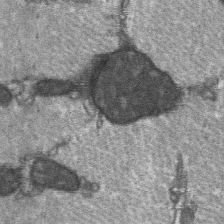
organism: C57BL Mouse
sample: Soleus